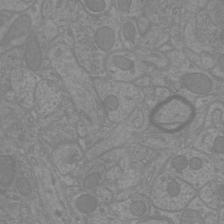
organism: Mouse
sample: Cortical neurons